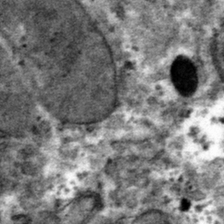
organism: Mouse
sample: Mouse hepatocytes